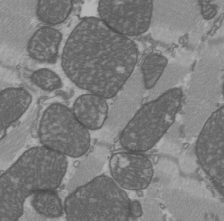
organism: C57BL Mouse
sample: Heart